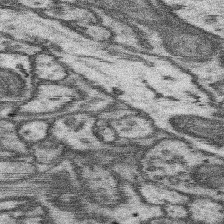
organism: Mouse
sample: Somatosensory cortex neuropil